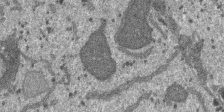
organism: Human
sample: Lung epithelial cells infected with SARS-CoV-2